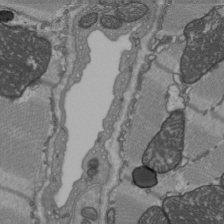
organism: C57BL Mouse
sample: Heart